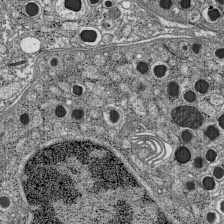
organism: C57BL Mouse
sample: Pancreatic islet